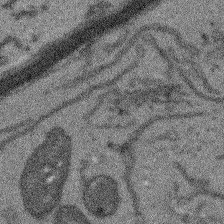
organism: Arabidopsis thaliana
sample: Root tip